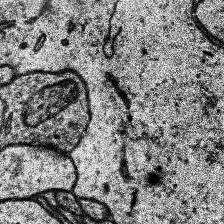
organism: Human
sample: Temporal Lobe